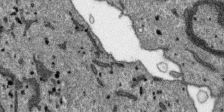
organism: Human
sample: Lung epithelial cells, uninfected (mock) control